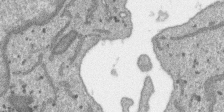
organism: Human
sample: Lung epithelial cells infected with SARS-CoV-2